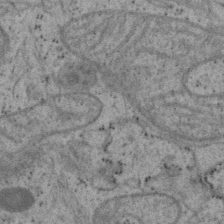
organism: Human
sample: HeLa cells